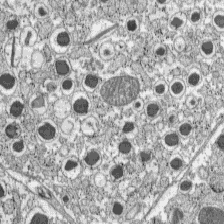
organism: C57BL Mouse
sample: Pancreatic islet